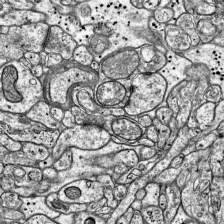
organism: Mouse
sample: Visual Cortex